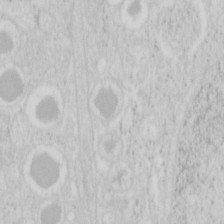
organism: Mouse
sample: Pancreas